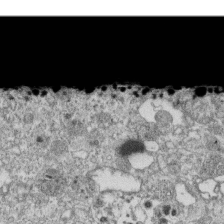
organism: Human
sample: HeLa cell HIV synapse